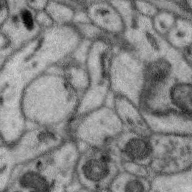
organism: Zebra finch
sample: Brain